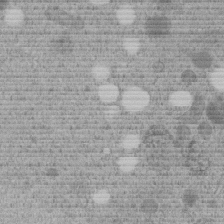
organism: C. elegans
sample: C. elegans embryo early stage